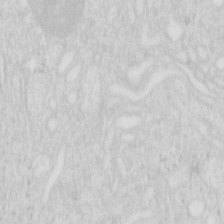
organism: Mouse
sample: Pancreas